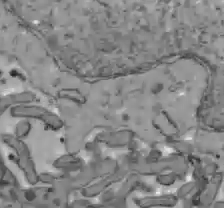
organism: C57BL Mouse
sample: Liver